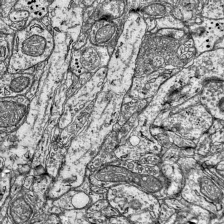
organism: Mouse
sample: Visual Cortex